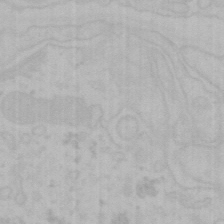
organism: Mouse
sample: Choroid plexus